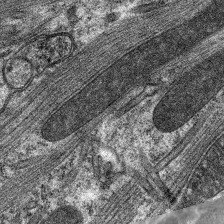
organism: C. elegans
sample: Pharynx